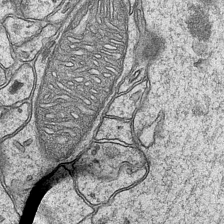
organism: Mouse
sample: CA1 Hippocampus